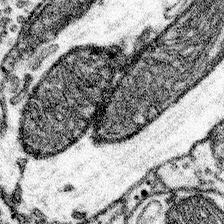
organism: Mouse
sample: Somatosensory cortex neuropil